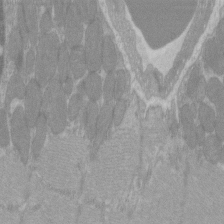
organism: C57BL Mouse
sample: Tibialis anterior muscle cell